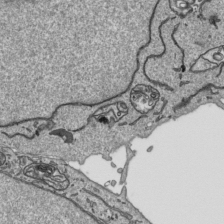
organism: Human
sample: Mitochondria in HCT116 cells